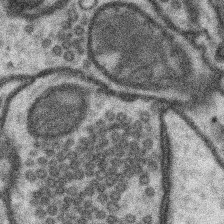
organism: Mouse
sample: Somatosensory cortex neuropil